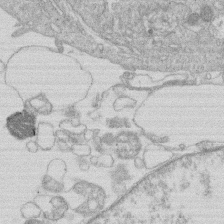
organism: Human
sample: Macrophage cells